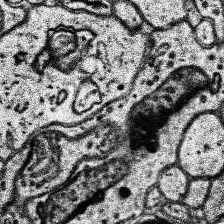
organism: Human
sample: Temporal Lobe